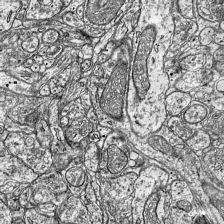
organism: Mouse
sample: Visual Cortex